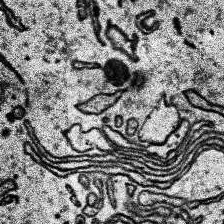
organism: Human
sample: Temporal Lobe